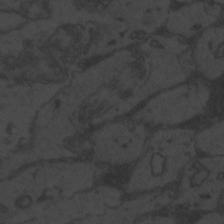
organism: Zebrafish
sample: Macrophage infected with Toxoplasma gondii